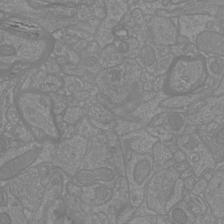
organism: Mouse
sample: Cortical neurons